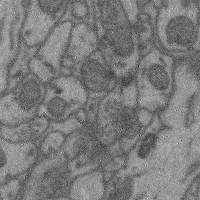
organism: Mouse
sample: Cerebral cortex